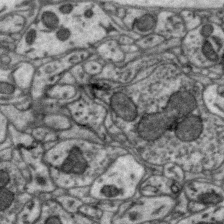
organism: Zebra finch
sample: Brain